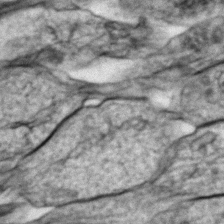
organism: Zebrafish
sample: Zebrafish embryo